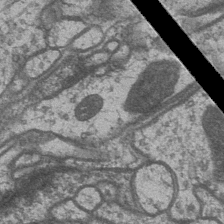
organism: Drosophila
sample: Optic medulla